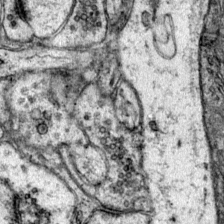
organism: Mouse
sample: Primary visual cortex